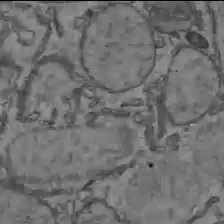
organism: C57BL Mouse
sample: Liver